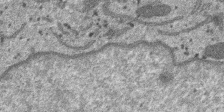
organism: Human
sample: Lung epithelial cells infected with SARS-CoV-2